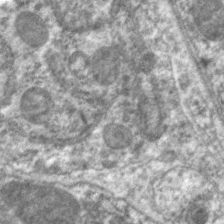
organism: C. elegans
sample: Pharynx